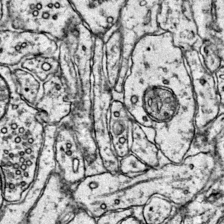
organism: Mouse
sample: Primary visual cortex